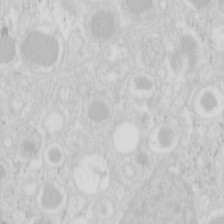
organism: Mouse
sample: Pancreas